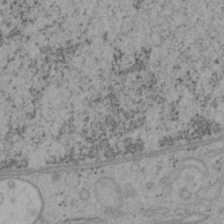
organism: Human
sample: HeLa cells